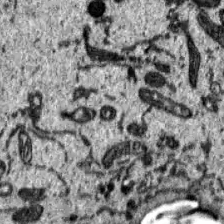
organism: Human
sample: HeLa cells